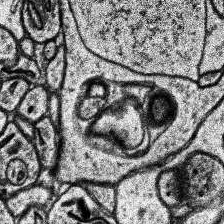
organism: Human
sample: Temporal Lobe